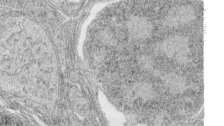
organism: Zebrafish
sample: synaptic ribbons in rod cells and cone cells